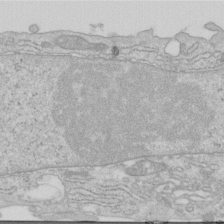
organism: Human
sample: Centriole in RPE cells